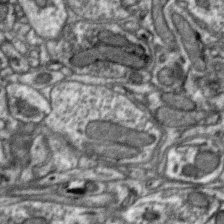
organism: Zebra finch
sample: Brain